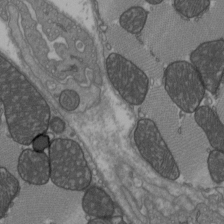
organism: C57BL Mouse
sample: Heart